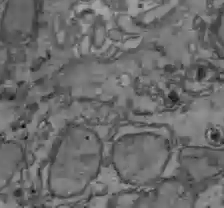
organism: C57BL Mouse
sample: Liver